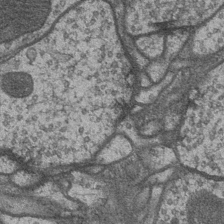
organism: Drosophila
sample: Optic medulla